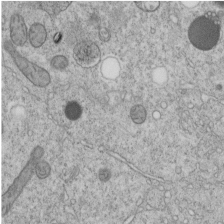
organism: C. elegans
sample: C. elegans embryo early stage